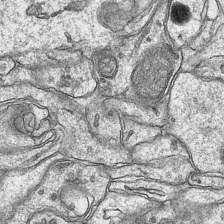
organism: Mouse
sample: CA1 Hippocampus